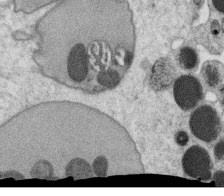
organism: C. elegans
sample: C. elegans oocyte; sperm cells